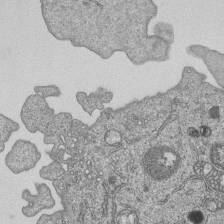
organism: Human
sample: MDA-MB-231 cells